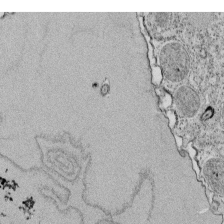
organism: Tetrahymena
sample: Cilia in tetrahymena